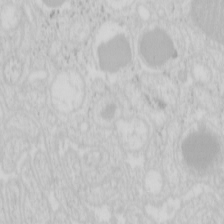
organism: Mouse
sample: Pancreas